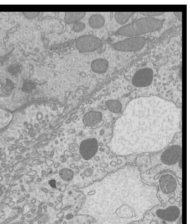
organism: Mouse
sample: Cilia; mouse epididymis